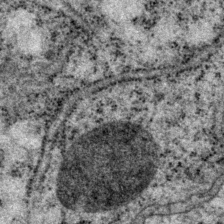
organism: P. pacificus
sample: Pharynx